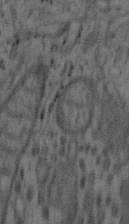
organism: Human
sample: HeLa cells